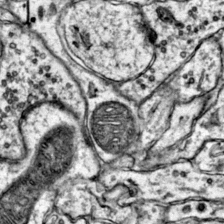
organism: Mouse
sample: Primary visual cortex